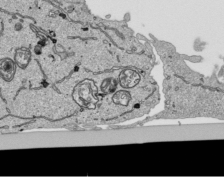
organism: Human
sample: Mitochondria in HCT116 cells